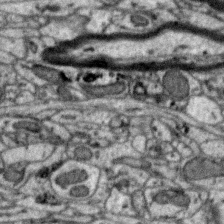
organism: Zebra finch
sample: Brain